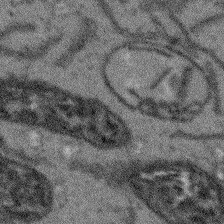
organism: Arabidopsis thaliana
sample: Root tip